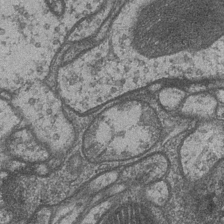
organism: Drosophila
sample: Optic medulla